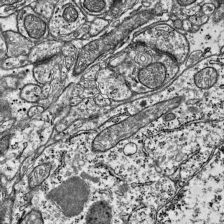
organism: Mouse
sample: Visual Cortex